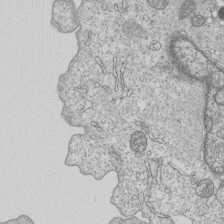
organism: Human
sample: MDA-MB-231 cells